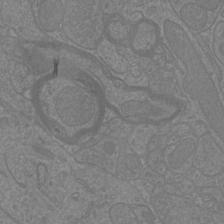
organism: Mouse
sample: Cortical neurons